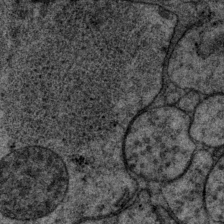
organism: P. pacificus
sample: Pharynx